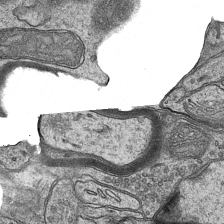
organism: Mouse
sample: CA1 Hippocampus